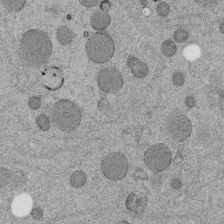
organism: C. elegans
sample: C. elegans embryo early stage